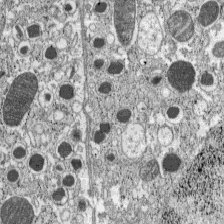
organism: C57BL Mouse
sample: Pancreatic islet